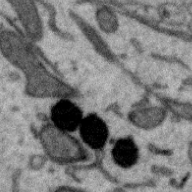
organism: Zebra finch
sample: Brain